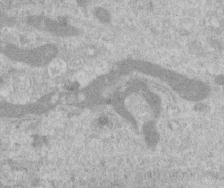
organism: Human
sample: Centriole in RPE cells